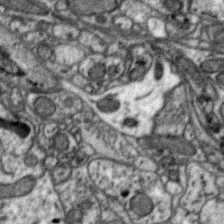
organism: Zebra finch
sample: Brain